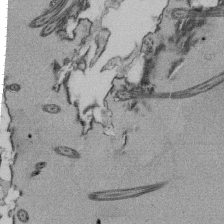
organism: Tetrahymena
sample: Cilia in tetrahymena